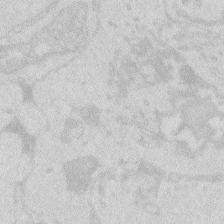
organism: Zebrafish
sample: Macrophage